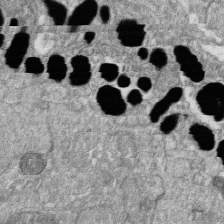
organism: Zebrafish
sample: Cilia; retinal pigment epithelium